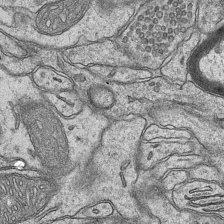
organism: Mouse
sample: CA1 Hippocampus